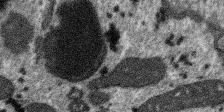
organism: Human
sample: Lung epithelial cells infected with SARS-CoV-2